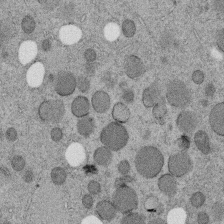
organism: C. elegans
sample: C. elegans embryo early stage